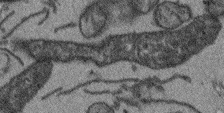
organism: Arabidopsis thaliana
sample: Root tip